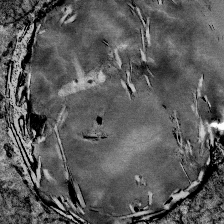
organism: Mouse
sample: Mouse Salivary gland